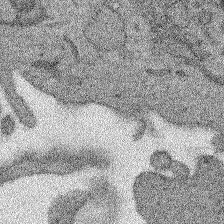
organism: Human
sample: HeLa cells